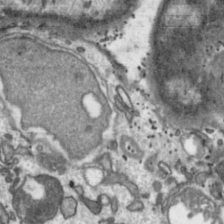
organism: Toxoplasma gondii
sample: Parasites in a vacuole inside a host cell